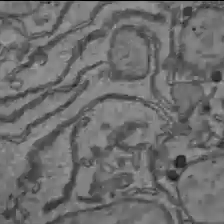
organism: C57BL Mouse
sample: Liver